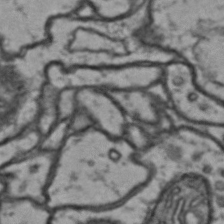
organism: Drosophila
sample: Brain